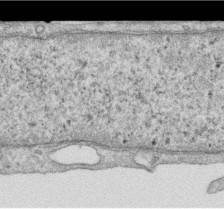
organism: Human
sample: Centriole in RPE cells